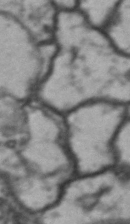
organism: Drosophila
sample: Brain